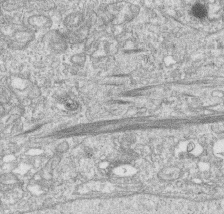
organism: Human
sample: HeLa cell HIV synapse